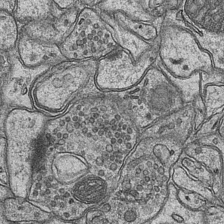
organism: Mouse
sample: CA1 Hippocampus